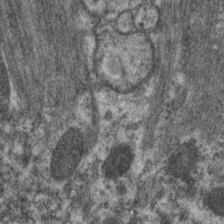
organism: C. elegans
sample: Pharynx